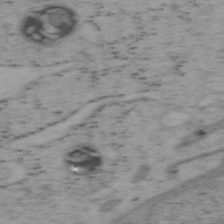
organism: Mouse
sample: OT-I killer T cells with ID8 ovarian cancer cells